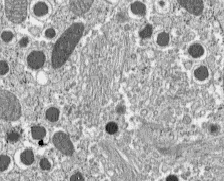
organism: C57BL Mouse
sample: Pancreatic islet